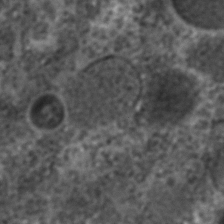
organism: C. elegans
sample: C. elegans embryo